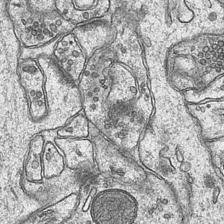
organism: Mouse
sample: CA1 Hippocampus